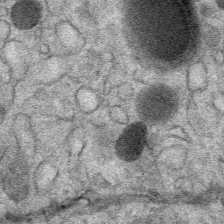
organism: Mouse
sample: Mouse Salivary gland